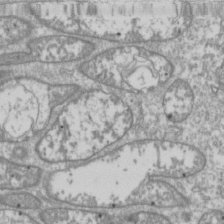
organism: Drosophila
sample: Cell division; meiosis; drosophila spermatocytes